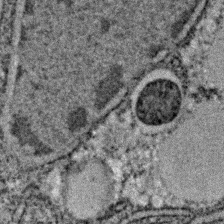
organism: C. elegans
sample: C. elegans embryo